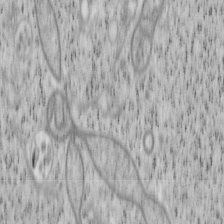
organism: Human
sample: HeLa cells